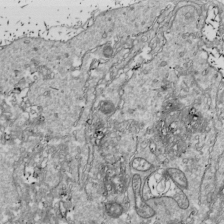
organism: Drosophila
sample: Cell division; meiosis; drosophila spermatocytes